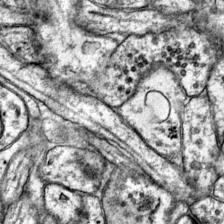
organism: Mouse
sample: Primary visual cortex